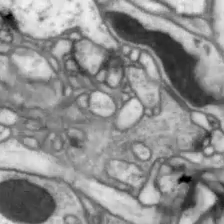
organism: Drosophila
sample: Optic lobe